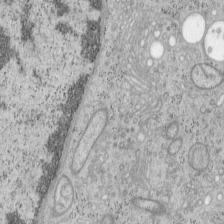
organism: Mouse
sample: OT-I killer T cells with ID8 ovarian cancer cells